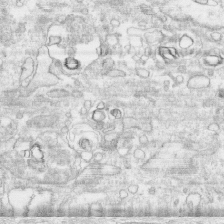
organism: Human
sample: CRL-1474